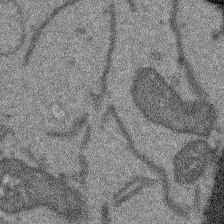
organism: Arabidopsis thaliana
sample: Root tip